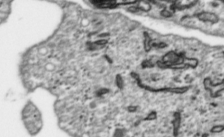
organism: Toxoplasma gondii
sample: Parasites in a vacuole inside a host cell